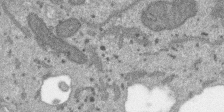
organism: Human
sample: Lung epithelial cells infected with SARS-CoV-2